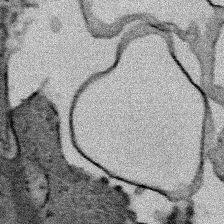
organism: Human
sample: Mitochondria in HCT116 cells